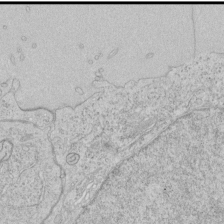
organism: Human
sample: Mitochondria in HCT116 cells